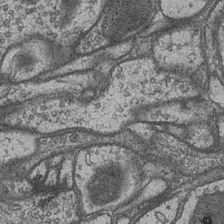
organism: Drosophila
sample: Optic medulla